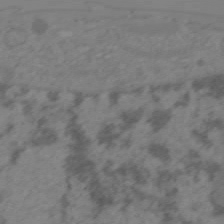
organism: Human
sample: HeLa cells